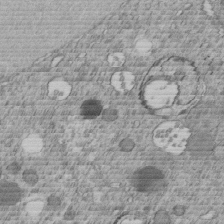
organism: C. elegans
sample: C. elegans embryo early stage